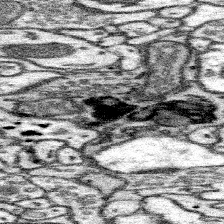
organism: Mouse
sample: Somatosensory cortex neuropil